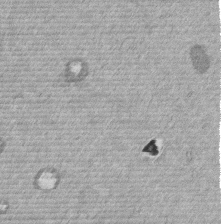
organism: Mouse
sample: Dividing mouse embryo 1 cell stage